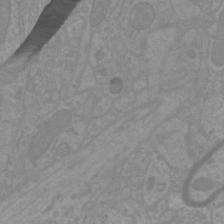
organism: Mouse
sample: Cortical neurons